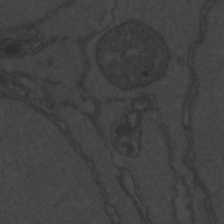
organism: Zebrafish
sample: Macrophage infected with Toxoplasma gondii